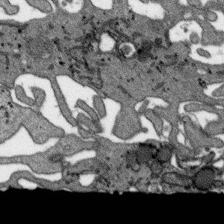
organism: Human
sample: Lung epithelial cells, uninfected (mock) control